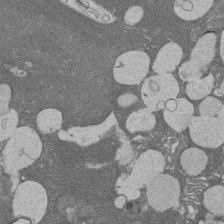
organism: Rat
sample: Salivary granule